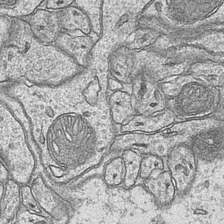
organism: Mouse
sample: CA1 Hippocampus